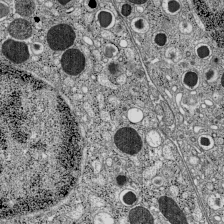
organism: C57BL Mouse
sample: Pancreatic islet